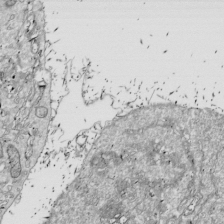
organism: Drosophila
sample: Cell division; meiosis; drosophila spermatocytes